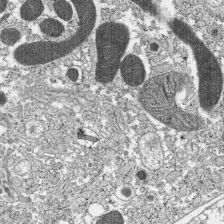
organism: C57BL Mouse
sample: Pancreatic islet